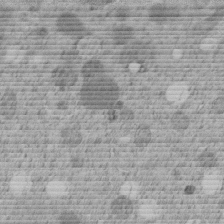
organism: C. elegans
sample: C. elegans embryo early stage